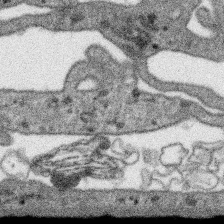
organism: Human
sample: Lung epithelial cells infected with SARS-CoV-2